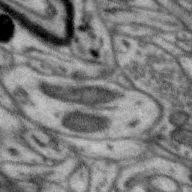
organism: Zebra finch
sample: Brain